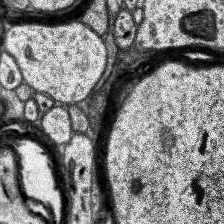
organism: Human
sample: Temporal Lobe